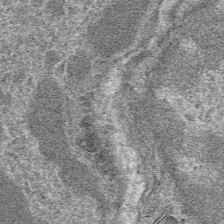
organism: Mouse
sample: Mouse hepatocytes